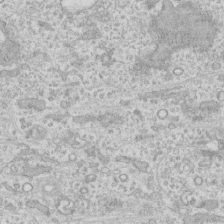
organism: Human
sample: CRL-1474